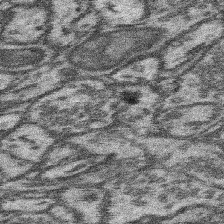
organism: Mouse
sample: Somatosensory cortex neuropil